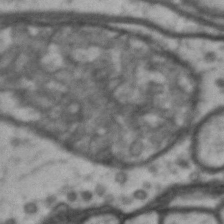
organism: Drosophila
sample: Brain